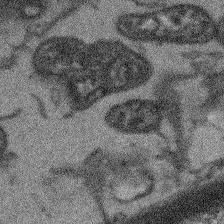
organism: Arabidopsis thaliana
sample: Root tip